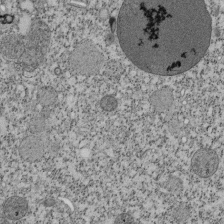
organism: Tetrahymena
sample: Cilia in tetrahymena